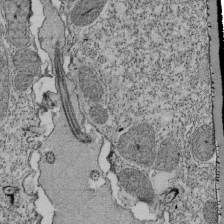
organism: Tetrahymena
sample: Cilia in tetrahymena